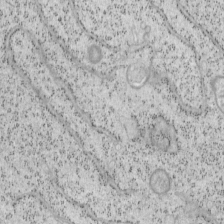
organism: Mouse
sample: OT-I killer T cells with ID8 ovarian cancer cells